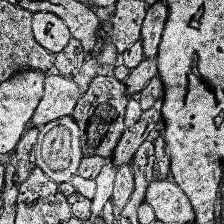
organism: Human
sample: Temporal Lobe